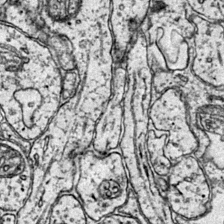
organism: Mouse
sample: Primary visual cortex